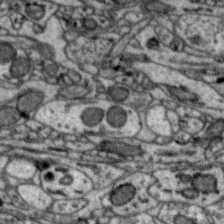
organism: Zebra finch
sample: Brain